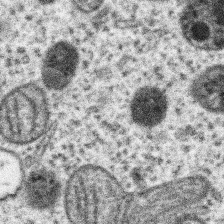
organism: Human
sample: HeLa cells